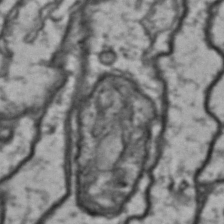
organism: Drosophila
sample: Brain